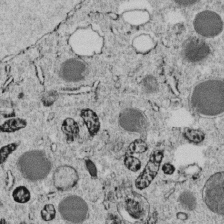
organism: C. elegans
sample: C. elegans embryo early stage